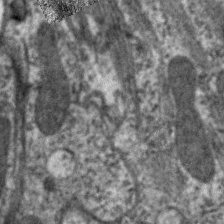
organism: C. elegans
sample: Pharynx